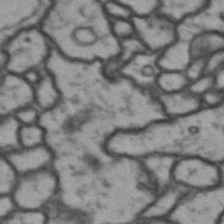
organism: Drosophila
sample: Brain